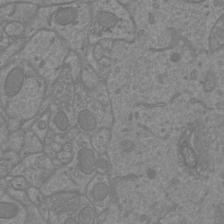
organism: Mouse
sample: Cortical neurons